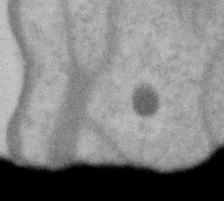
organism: Gemmata obscuriglobus